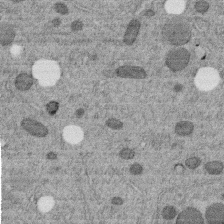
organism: C. elegans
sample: C. elegans embryo early stage